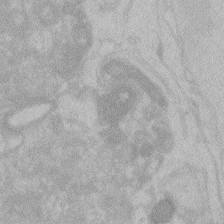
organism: Zebrafish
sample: Macrophage infected with Toxoplasma gondii